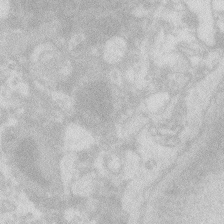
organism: Zebrafish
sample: Macrophage